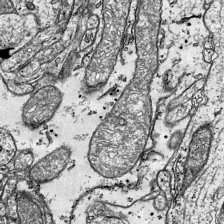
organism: Mouse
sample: Visual Cortex